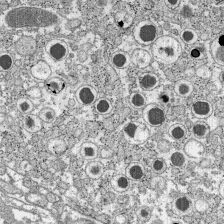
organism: C57BL Mouse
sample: Pancreatic islet